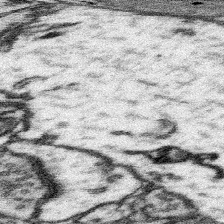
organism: Mouse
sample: Somatosensory cortex neuropil